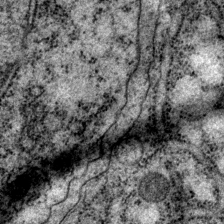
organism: P. pacificus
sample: Pharynx